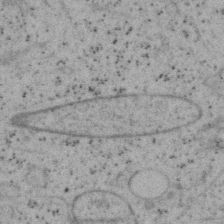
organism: Human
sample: HeLa cells